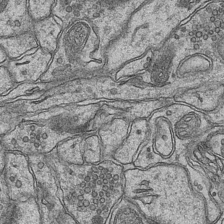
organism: Mouse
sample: CA1 Hippocampus